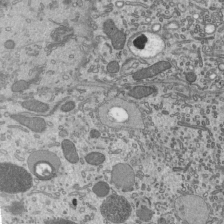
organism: Mouse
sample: Mouse epididymis efferent ductule cilia